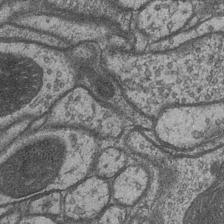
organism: Drosophila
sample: Optic medulla